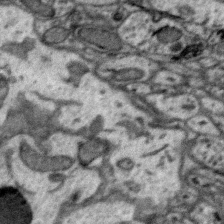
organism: Zebra finch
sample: Brain